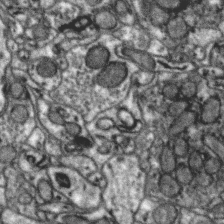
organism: Zebra finch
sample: Brain